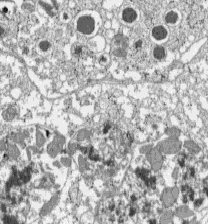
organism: C57BL Mouse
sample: Pancreatic islet